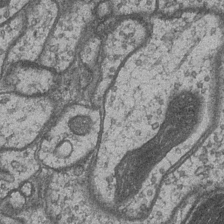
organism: Drosophila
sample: Optic medulla